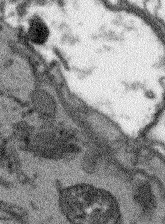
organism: Arabidopsis thaliana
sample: Root tip